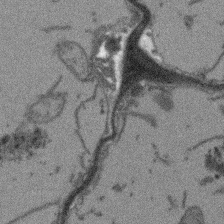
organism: Arabidopsis thaliana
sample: Root tip